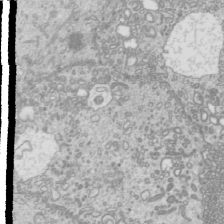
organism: Mouse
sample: Cilia; mouse epididymis